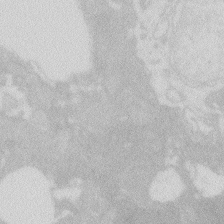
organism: Zebrafish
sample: Macrophage